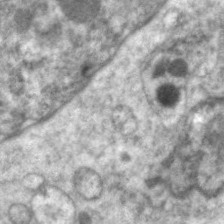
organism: C. elegans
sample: Pharynx